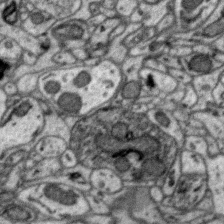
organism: Zebra finch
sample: Brain